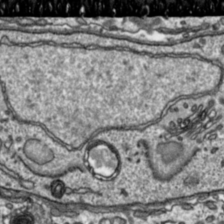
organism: Toxoplasma gondii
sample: Parasites in a vacuole inside a host cell